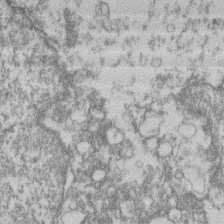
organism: Mouse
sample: T cell stromal cell synapse